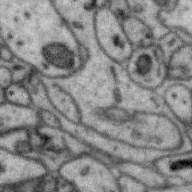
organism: Zebra finch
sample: Brain